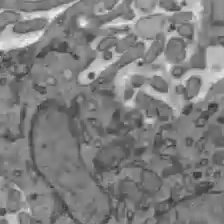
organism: C57BL Mouse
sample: Liver